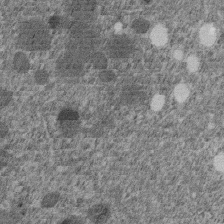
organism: C. elegans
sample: C. elegans embryo early stage